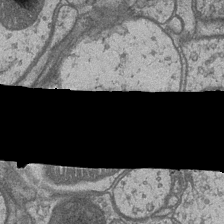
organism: Drosophila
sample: Optic medulla